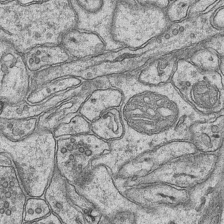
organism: Mouse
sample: CA1 Hippocampus